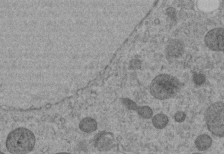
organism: C. elegans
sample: C. elegans embryo early stage